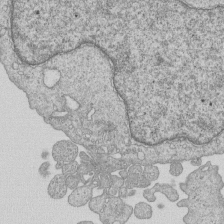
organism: Human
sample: MDA-MB-231 cells